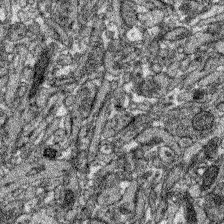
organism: Zebrafish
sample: Larval olfactory bulb